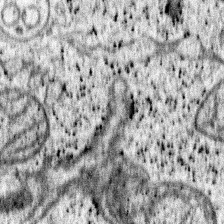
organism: Human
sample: HeLa cells